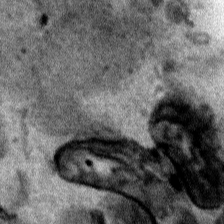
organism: Human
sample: Mitochondria in HCT116 cells